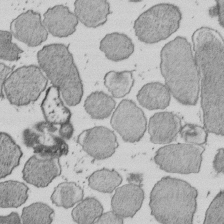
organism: E. coli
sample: Bacterial nucleoid